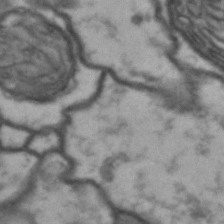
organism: Drosophila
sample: Brain